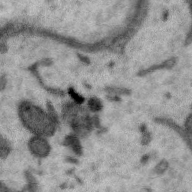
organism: Zebra finch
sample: Brain